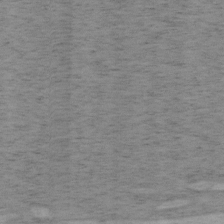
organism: Mouse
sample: OT-I killer T cells with ID8 ovarian cancer cells